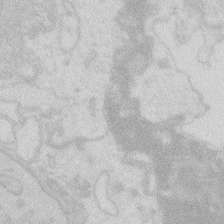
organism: Zebrafish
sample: Macrophage